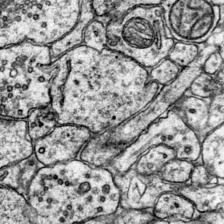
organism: Mouse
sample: Primary visual cortex